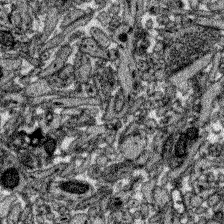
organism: Zebrafish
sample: Larval olfactory bulb